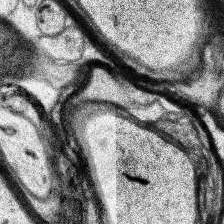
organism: Human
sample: Temporal Lobe